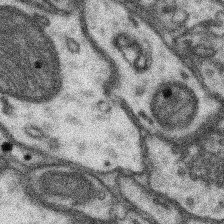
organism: Mouse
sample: Somatosensory cortex neuropil